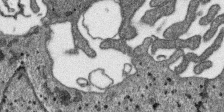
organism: Human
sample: Lung epithelial cells infected with SARS-CoV-2